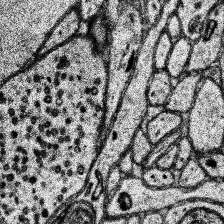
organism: Human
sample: Temporal Lobe